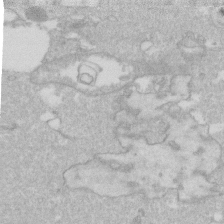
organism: Human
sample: Fibroblast cells